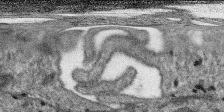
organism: Human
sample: Lung epithelial cells infected with SARS-CoV-2